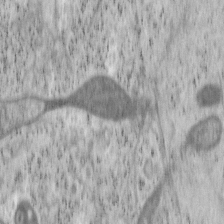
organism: Human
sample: HeLa cells